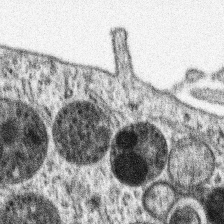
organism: Human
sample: HeLa cells